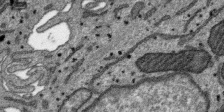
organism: Human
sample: Lung epithelial cells, uninfected (mock) control